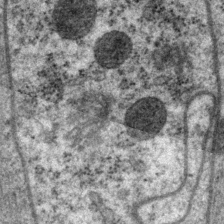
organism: P. pacificus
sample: Pharynx